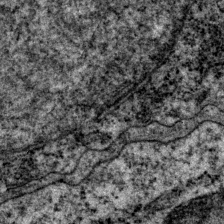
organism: P. pacificus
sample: Pharynx